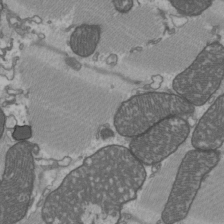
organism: C57BL Mouse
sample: Heart